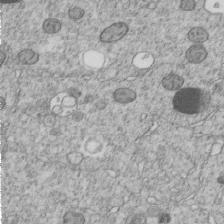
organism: C. elegans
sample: C. elegans embryo early stage